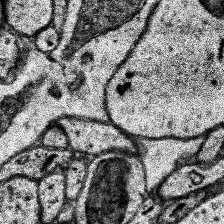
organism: Human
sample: Temporal Lobe